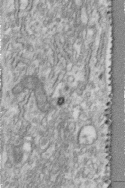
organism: Human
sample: Centriole in fibroblast cells